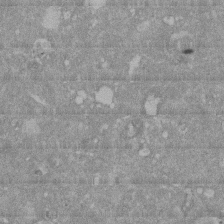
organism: Mouse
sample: ED-1 cell nuclei; centrioles